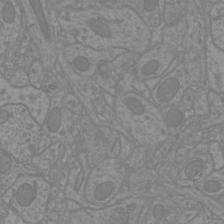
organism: Mouse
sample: Cortical neurons